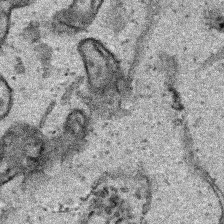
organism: Human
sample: Mitochondria in HCT116 cells